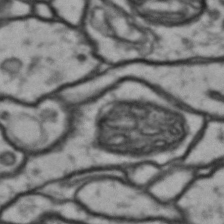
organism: Drosophila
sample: Brain